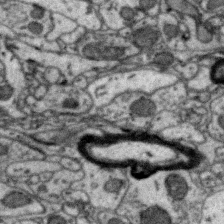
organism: Zebra finch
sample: Brain